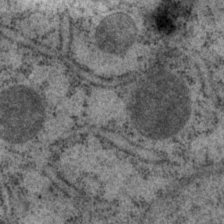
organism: P. pacificus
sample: Pharynx